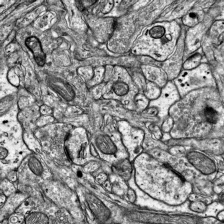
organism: Mouse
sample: Visual Cortex